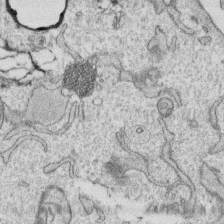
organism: Human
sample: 1205lu cells